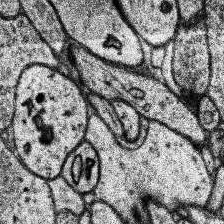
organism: Human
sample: Temporal Lobe